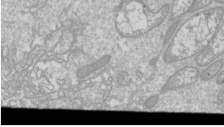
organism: Drosophila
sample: Cell division; meiosis; drosophila spermatocytes